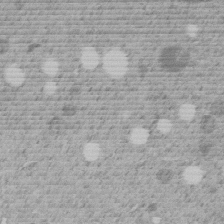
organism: C. elegans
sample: C. elegans embryo early stage